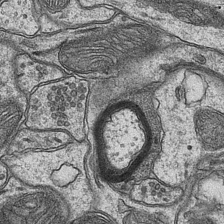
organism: Mouse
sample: CA1 Hippocampus